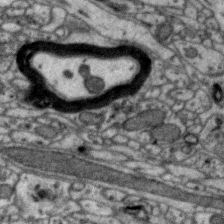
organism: Zebra finch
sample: Brain